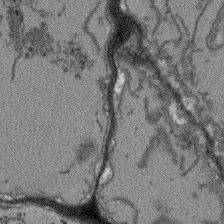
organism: Arabidopsis thaliana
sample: Root tip